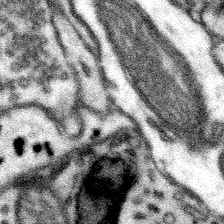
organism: Mouse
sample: Somatosensory cortex neuropil